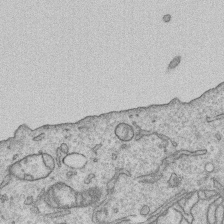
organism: Human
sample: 1205lu cells